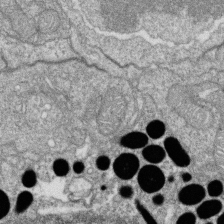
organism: Zebrafish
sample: Cilia; retinal pigment epithelium